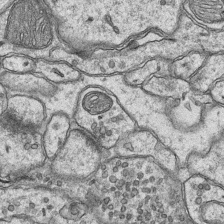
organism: Mouse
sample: CA1 Hippocampus